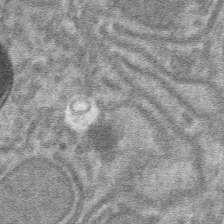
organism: Mouse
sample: Mouse hepatocytes